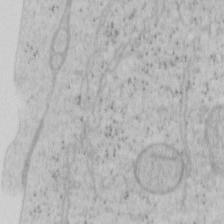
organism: Human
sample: HeLa cells